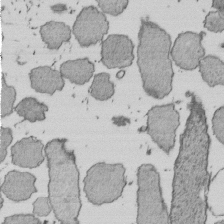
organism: E. coli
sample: Bacterial nucleoid